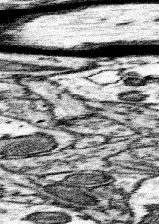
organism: Mouse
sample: Somatosensory cortex neuropil